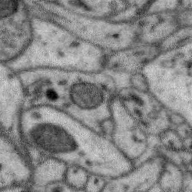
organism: Zebra finch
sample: Brain